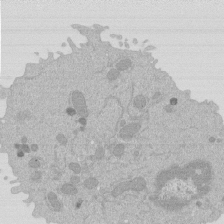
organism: Mouse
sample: Activated Pmel transgenic CD8+ T Cells